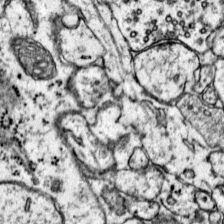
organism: Mouse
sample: Primary visual cortex